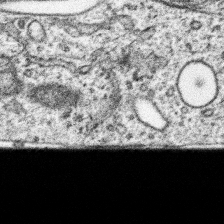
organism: Human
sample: HeLa cells